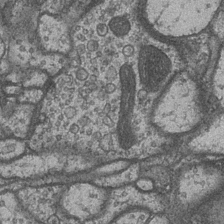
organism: Drosophila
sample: Optic medulla